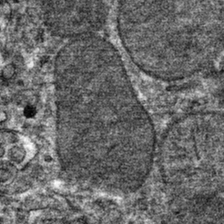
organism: Mouse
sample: Mouse hepatocytes